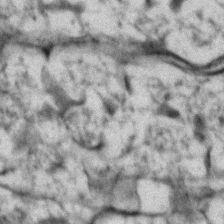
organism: Zebrafish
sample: Zebrafish embryo